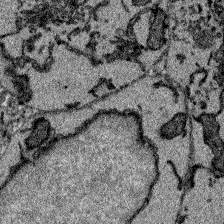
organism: Zebrafish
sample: Larval olfactory bulb